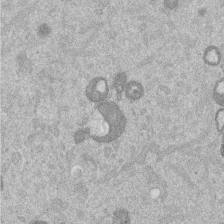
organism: Mouse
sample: Dividing mouse embryo 1 cell stage